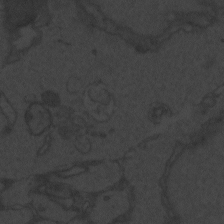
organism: Zebrafish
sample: Macrophage infected with Toxoplasma gondii